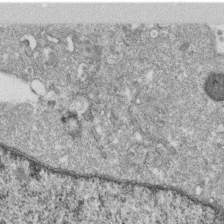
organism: African green monkey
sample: Vero E6 cells infected with SARS-CoV-2